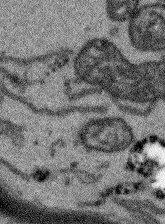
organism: Arabidopsis thaliana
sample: Root tip